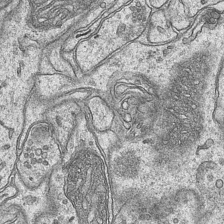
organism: Mouse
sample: CA1 Hippocampus